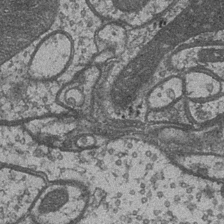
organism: Drosophila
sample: Optic medulla